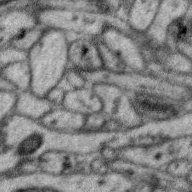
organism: Zebra finch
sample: Brain